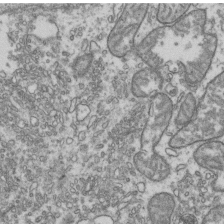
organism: Human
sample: Activated Jurkat CD4+ T cells